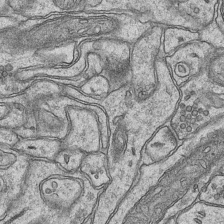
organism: Mouse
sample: CA1 Hippocampus